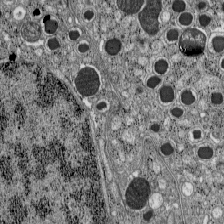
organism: C57BL Mouse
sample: Pancreatic islet